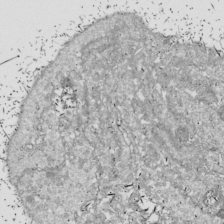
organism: Drosophila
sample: Cell division; meiosis; drosophila spermatocytes